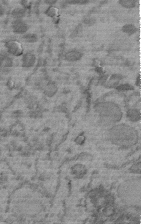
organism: C. elegans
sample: C. elegans embryo early stage